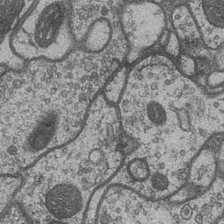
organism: Drosophila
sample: Optic medulla